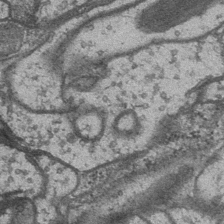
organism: Drosophila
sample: Optic medulla